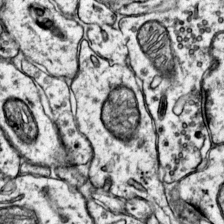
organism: Mouse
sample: Primary visual cortex